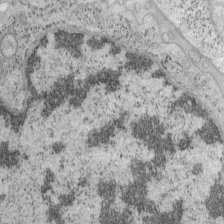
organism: Mouse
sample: OT-I killer T cells with ID8 ovarian cancer cells